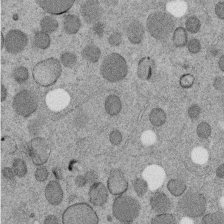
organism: C. elegans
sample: C. elegans embryo early stage